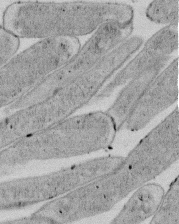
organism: E. coli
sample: Bacterial nucleoid